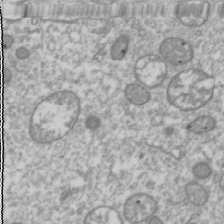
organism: Drosophila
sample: Cell division; meiosis; drosophila spermatocytes